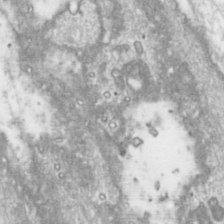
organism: Toxoplasma gondii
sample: Parasites in a vacuole inside a host cell